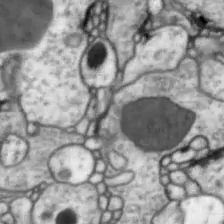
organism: Drosophila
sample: Optic lobe